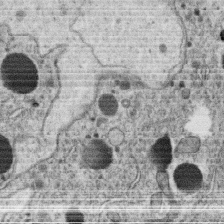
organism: C. elegans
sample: C. elegans oocyte; sperm cells